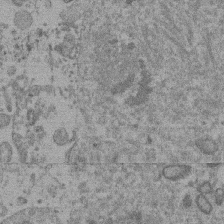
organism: Mouse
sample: Dividing mouse embryo 1 cell stage